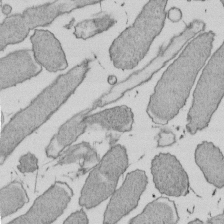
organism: E. coli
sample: Bacterial nucleoid